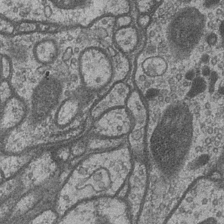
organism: Drosophila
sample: Optic medulla